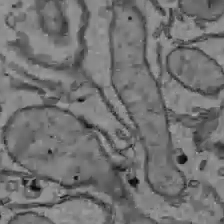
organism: C57BL Mouse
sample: Liver